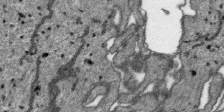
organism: Human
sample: Lung epithelial cells, uninfected (mock) control